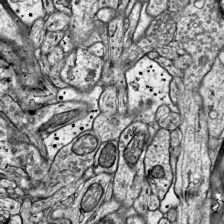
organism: Mouse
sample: Visual Cortex